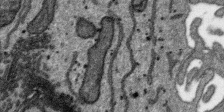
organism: Human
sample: Lung epithelial cells, uninfected (mock) control